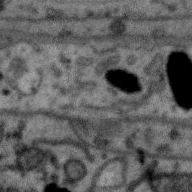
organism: Zebra finch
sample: Brain